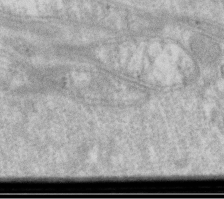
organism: Drosophila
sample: Cell division; meiosis; drosophila spermatocytes